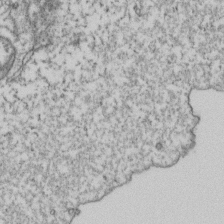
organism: Human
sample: Activated Jurkat CD4+ T cells